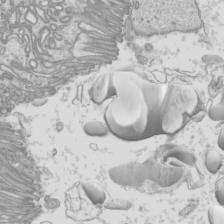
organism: Mouse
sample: Cilia; mouse epididymis